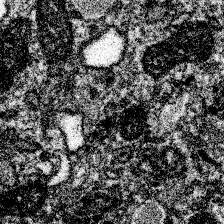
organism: Spongilla lacustris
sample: Neuroid cell